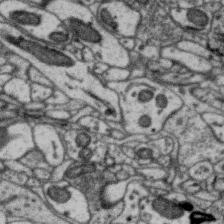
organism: Zebra finch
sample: Brain